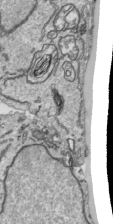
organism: Human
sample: Mitochondria in HCT116 cells